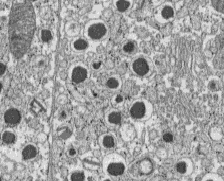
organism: C57BL Mouse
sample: Pancreatic islet